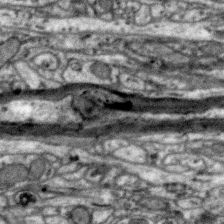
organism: Zebra finch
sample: Brain